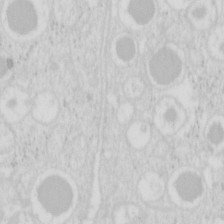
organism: Mouse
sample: Pancreas